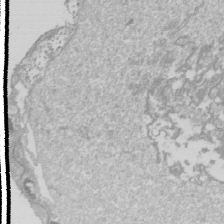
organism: Drosophila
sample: Cell division; meiosis; drosophila spermatocytes